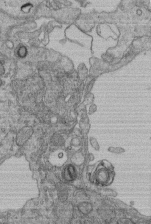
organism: Human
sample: Retinal organoid Rod and Cone cells